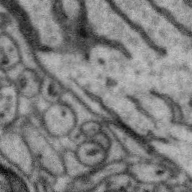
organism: Zebra finch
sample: Brain